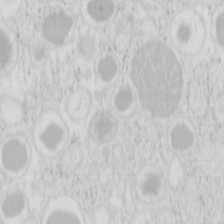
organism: Mouse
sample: Pancreas